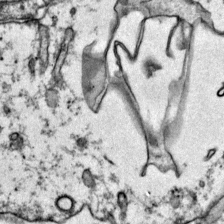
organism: Mouse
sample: Primary visual cortex